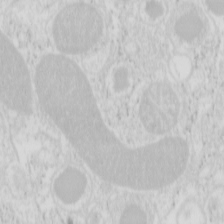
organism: Mouse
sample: Pancreas